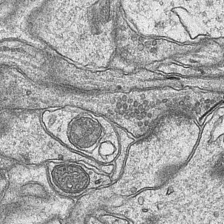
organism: Mouse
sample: CA1 Hippocampus